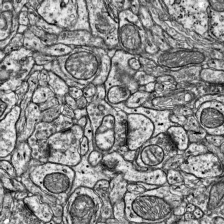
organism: Mouse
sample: Visual Cortex